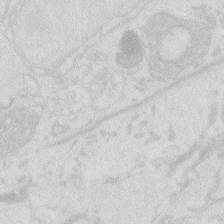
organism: Zebrafish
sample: Macrophage